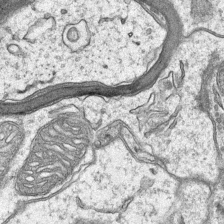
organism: Mouse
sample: CA1 Hippocampus